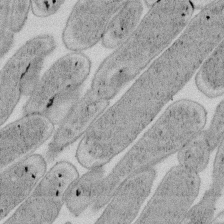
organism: E. coli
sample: Bacterial nucleoid